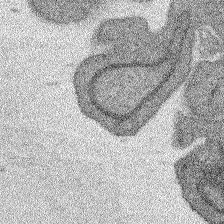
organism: Human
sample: HeLa cells